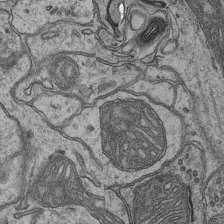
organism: Mouse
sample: CA1 Hippocampus